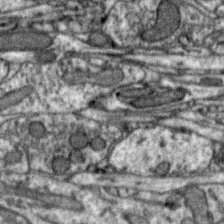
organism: Zebra finch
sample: Brain